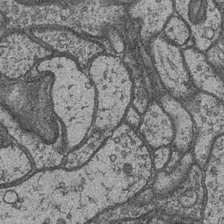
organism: Drosophila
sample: Optic medulla